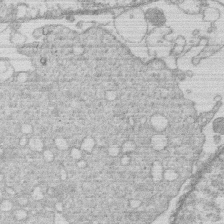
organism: Human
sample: Macrophage cells